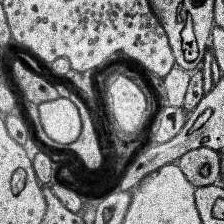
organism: Human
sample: Temporal Lobe